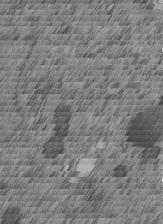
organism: C. elegans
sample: C. elegans embryo early stage